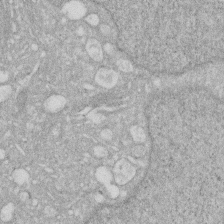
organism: Human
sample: HIV infected U937 cells